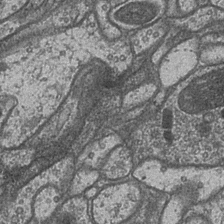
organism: Drosophila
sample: Optic medulla